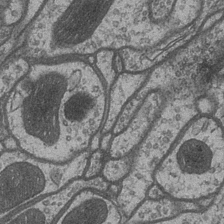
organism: Drosophila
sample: Optic medulla